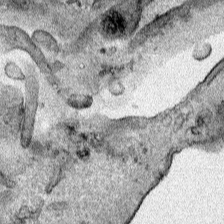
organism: Human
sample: Mitochondria in HCT116 cells